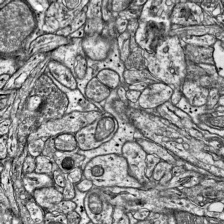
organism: Mouse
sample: Visual Cortex